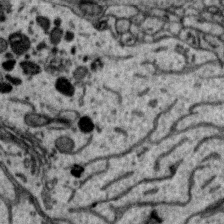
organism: Zebra finch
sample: Brain